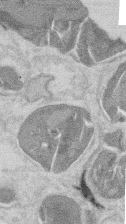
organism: Mouse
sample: T cell stromal cell synapse